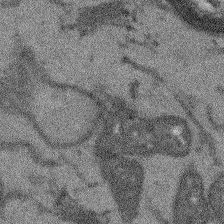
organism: Arabidopsis thaliana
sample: Root tip